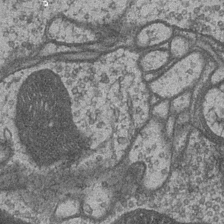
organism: Drosophila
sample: Optic medulla